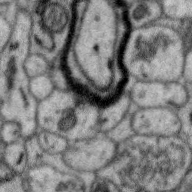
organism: Zebra finch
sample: Brain